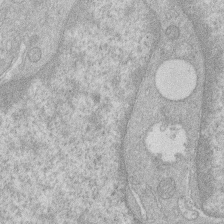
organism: Human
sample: Macrophage cells